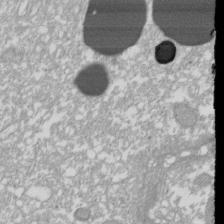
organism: Xenopus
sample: Cilia; centrioles in frog embryo cells